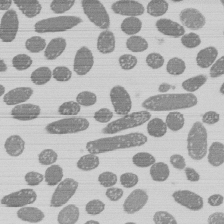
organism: E. coli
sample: Bacterial nucleoid